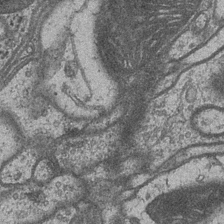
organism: Drosophila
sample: Optic medulla